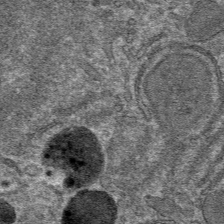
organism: Mouse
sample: Mouse hepatocytes